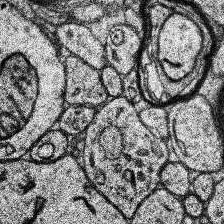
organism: Human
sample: Temporal Lobe